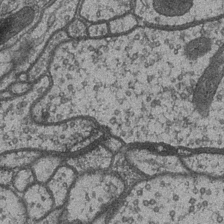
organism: Drosophila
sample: Optic medulla